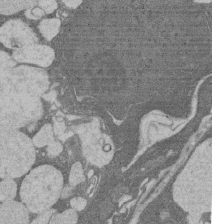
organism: Rat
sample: Salivary granule